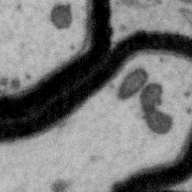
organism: Zebra finch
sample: Brain